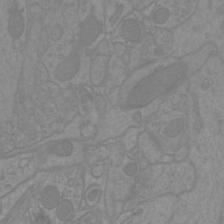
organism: Mouse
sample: Cortical neurons